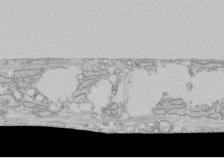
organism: Human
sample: CRL-1474